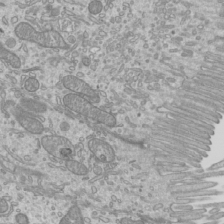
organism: Mouse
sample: Cilia; mouse epididymis